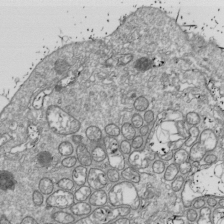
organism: Drosophila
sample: Cell division; meiosis; drosophila spermatocytes